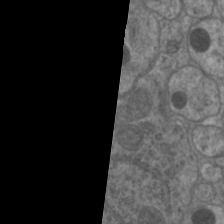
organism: C. elegans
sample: Pharynx